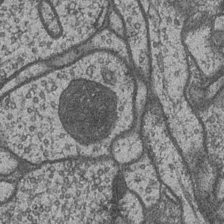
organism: Drosophila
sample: Optic medulla